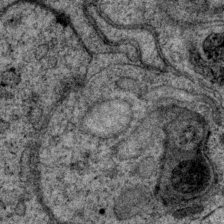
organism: P. pacificus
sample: Pharynx